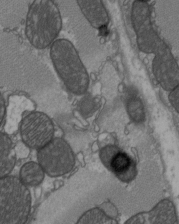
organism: C57BL Mouse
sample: Heart